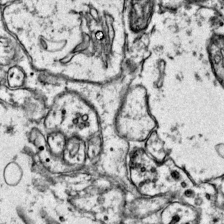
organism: Mouse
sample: Primary visual cortex